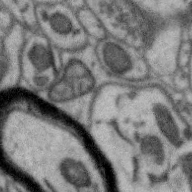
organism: Zebra finch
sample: Brain